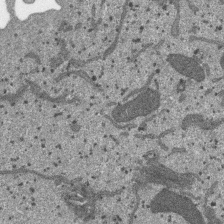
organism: Human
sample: Lung epithelial cells infected with SARS-CoV-2